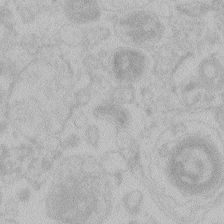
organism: Zebrafish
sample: Macrophage infected with Toxoplasma gondii